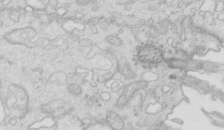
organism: Mouse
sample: Multiciliated cells